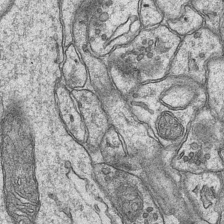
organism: Mouse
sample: CA1 Hippocampus